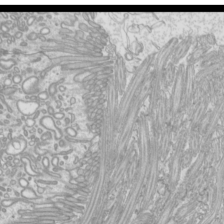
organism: Mouse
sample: Cilia; mouse epididymis